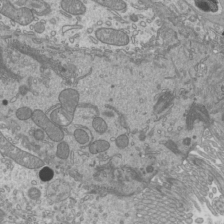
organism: Mouse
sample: Cilia; mouse epididymis